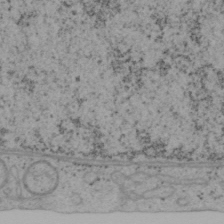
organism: Human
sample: HeLa cells